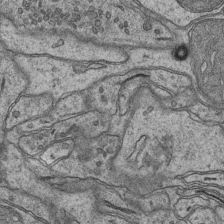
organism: Mouse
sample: CA1 Hippocampus